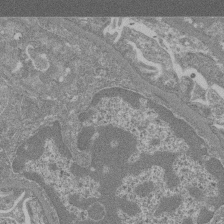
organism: Mouse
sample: Glomerulus